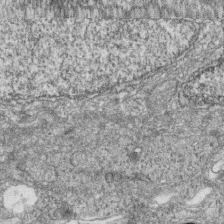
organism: Zebrafish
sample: Cilia; retinal pigment epithelium